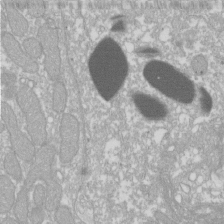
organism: Xenopus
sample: Cilia; centrioles in frog embryo cells